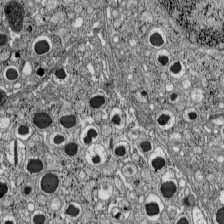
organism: C57BL Mouse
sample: Pancreatic islet